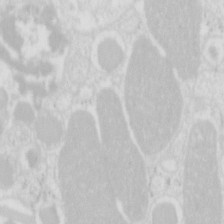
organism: Mouse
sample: Pancreas